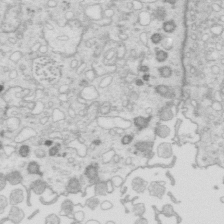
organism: Mouse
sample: Multiciliated cells